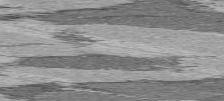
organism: C57BL Mouse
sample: Heart